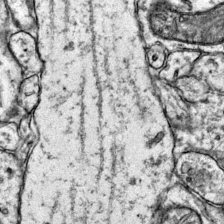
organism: Mouse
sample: Primary visual cortex